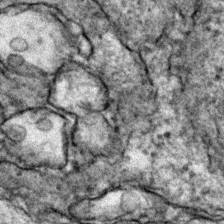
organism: Zebrafish